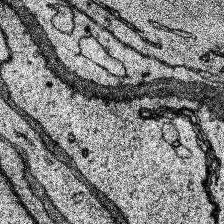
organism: Human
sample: Temporal Lobe